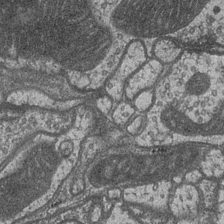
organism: Drosophila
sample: Optic medulla